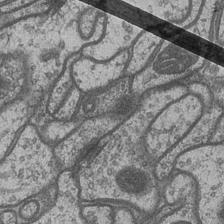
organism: Drosophila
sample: Optic medulla